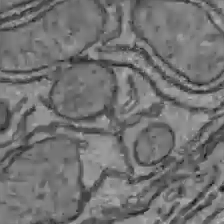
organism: C57BL Mouse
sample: Liver